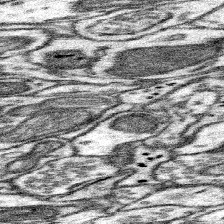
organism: Mouse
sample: Somatosensory cortex neuropil